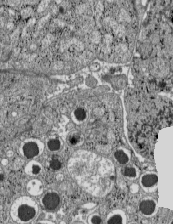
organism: C57BL Mouse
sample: Pancreatic islet